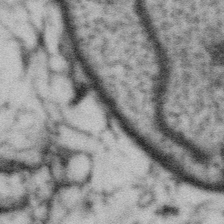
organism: Gemmata obscuriglobus